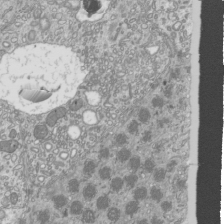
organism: Mouse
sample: Cilia; mouse epididymis